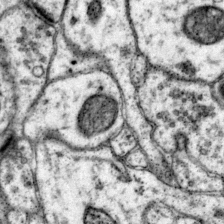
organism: Mouse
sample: Primary visual cortex